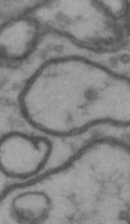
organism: Drosophila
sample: Brain